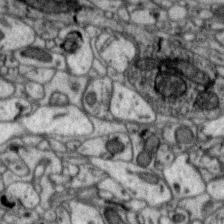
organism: Zebra finch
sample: Brain